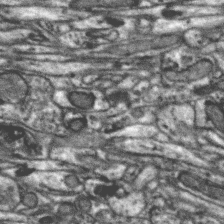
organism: Zebra finch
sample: Brain